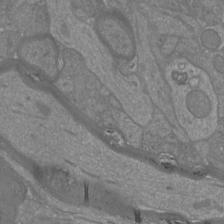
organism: Mouse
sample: Cortical neurons